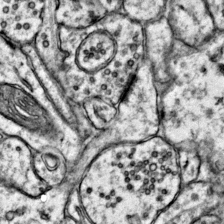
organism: Mouse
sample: Primary visual cortex